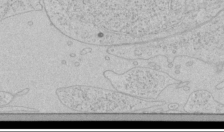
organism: Human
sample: Mitochondria in HCT116 cells